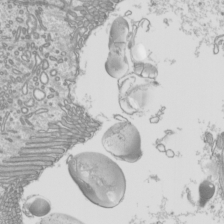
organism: Mouse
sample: Cilia; mouse epididymis